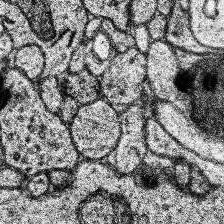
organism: Human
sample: Temporal Lobe